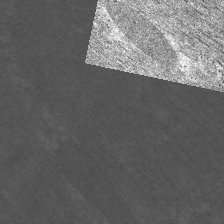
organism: C. elegans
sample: Pharynx